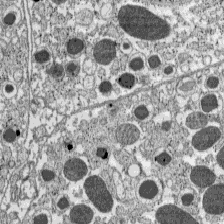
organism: C57BL Mouse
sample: Pancreatic islet